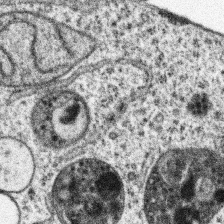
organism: Human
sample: HeLa cells